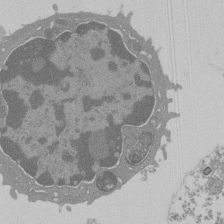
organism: Mouse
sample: Activated Pmel transgenic CD8+ T Cells